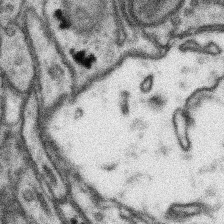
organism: Mouse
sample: Somatosensory cortex neuropil